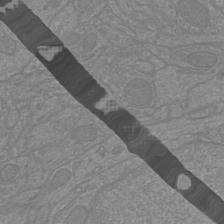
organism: Mouse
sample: Cortical neurons